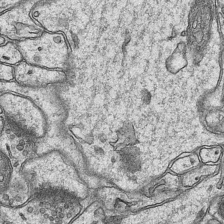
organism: Mouse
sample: CA1 Hippocampus